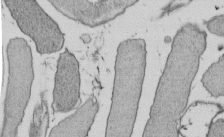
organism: E. coli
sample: Bacterial nucleoid